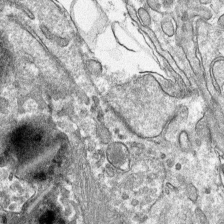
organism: Mouse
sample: Mouse hepatocytes